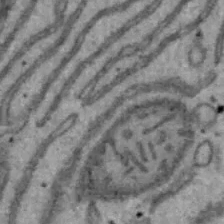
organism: Mouse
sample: Liver